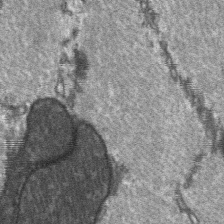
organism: C57BL Mouse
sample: Soleus